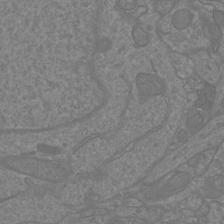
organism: Mouse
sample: Cortical neurons